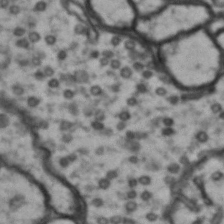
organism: Drosophila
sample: Brain